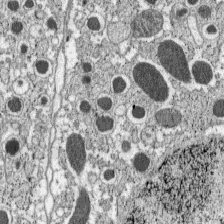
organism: C57BL Mouse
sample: Pancreatic islet